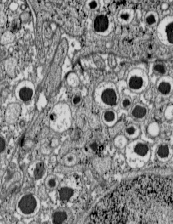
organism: C57BL Mouse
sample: Pancreatic islet